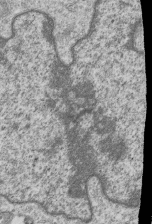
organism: Human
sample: MDA-MB-231 cells